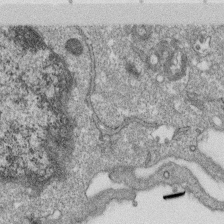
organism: African green monkey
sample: Vero E6 cells infected with SARS-CoV-2